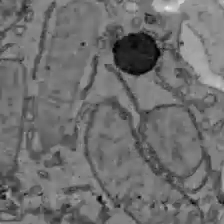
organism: C57BL Mouse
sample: Liver